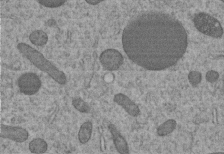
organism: C. elegans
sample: C. elegans embryo early stage